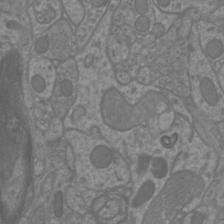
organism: Mouse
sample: Cortical neurons